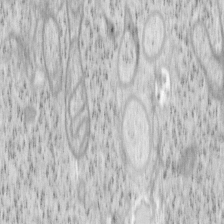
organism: Human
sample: HeLa cells